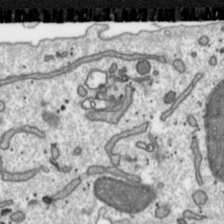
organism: Toxoplasma gondii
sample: Parasites in a vacuole inside a host cell